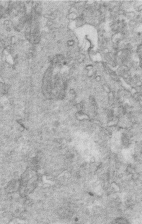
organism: Mouse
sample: Multiciliated cells